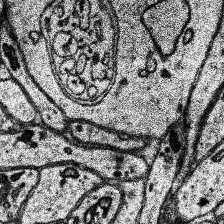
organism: Human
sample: Temporal Lobe